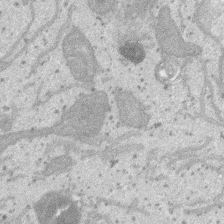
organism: Human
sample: Lung epithelial cells infected with SARS-CoV-2